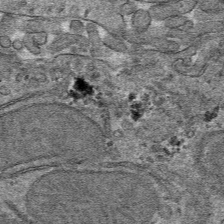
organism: Mouse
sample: Mouse hepatocytes